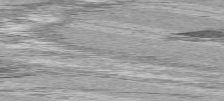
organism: C57BL Mouse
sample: Heart